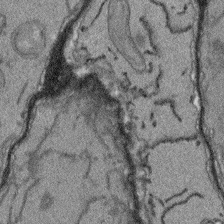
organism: Arabidopsis thaliana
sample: Root tip